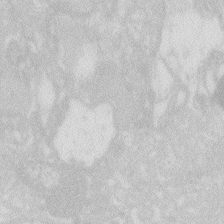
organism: Zebrafish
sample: Macrophage